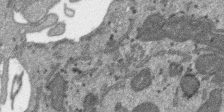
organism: Human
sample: Lung epithelial cells infected with SARS-CoV-2